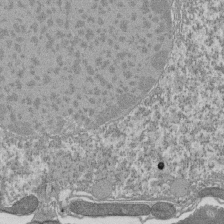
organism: Tetrahymena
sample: Cilia in tetrahymena